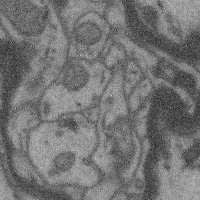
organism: Mouse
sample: Cerebral cortex